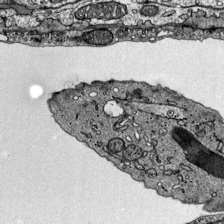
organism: Mouse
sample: Visual Cortex